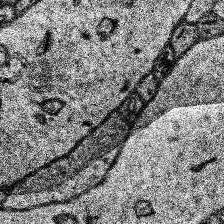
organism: Human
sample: Temporal Lobe